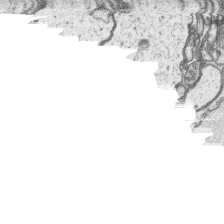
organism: Platynereis dumerilii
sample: Parapodia